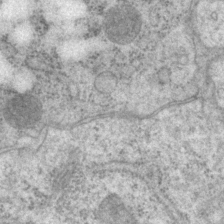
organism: P. pacificus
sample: Pharynx